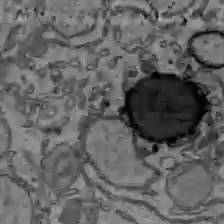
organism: C57BL Mouse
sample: Liver